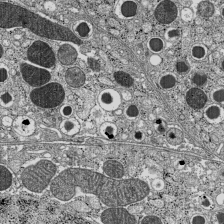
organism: C57BL Mouse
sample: Pancreatic islet